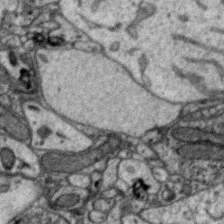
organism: Zebra finch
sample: Brain